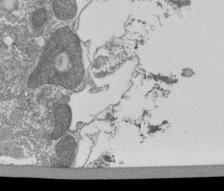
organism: Tetrahymena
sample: Cilia in tetrahymena